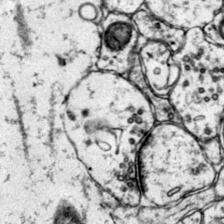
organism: Mouse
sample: Primary visual cortex